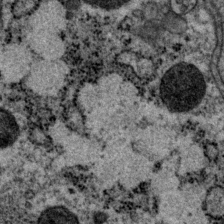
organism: P. pacificus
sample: Pharynx